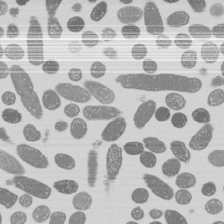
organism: E. coli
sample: Bacterial nucleoid